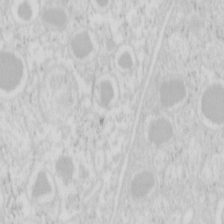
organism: Mouse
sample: Pancreas